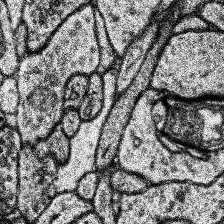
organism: Human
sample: Temporal Lobe